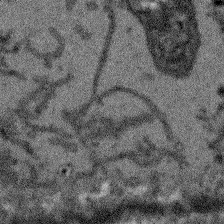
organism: Arabidopsis thaliana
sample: Root tip